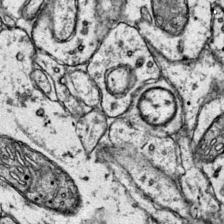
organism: Mouse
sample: Primary visual cortex